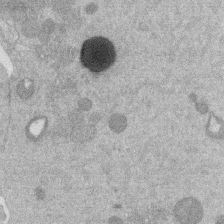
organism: Mouse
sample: Dividing mouse embryo 1 cell stage